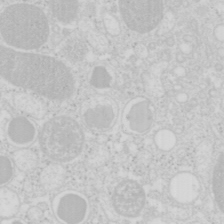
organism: Mouse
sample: Pancreas